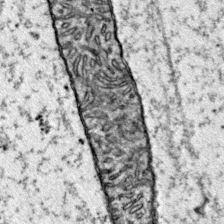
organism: Mouse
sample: Primary visual cortex